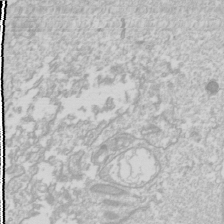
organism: Drosophila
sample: Cell division; meiosis; drosophila spermatocytes